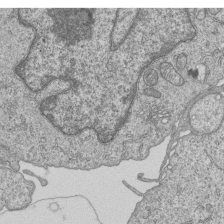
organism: Human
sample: MDA-MB-231 cells